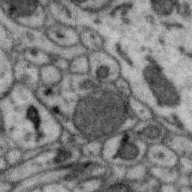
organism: Zebra finch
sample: Brain